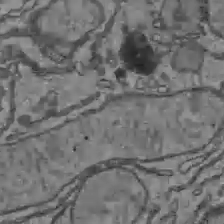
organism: C57BL Mouse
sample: Liver